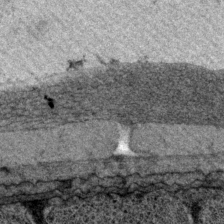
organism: P. pacificus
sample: Pharynx